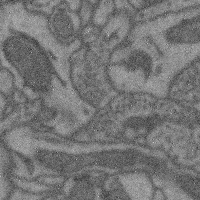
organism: Mouse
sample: Cerebral cortex